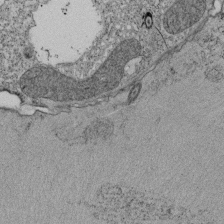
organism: Tetrahymena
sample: Cilia in tetrahymena